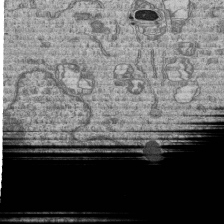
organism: Human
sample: MDA-MB-231 cells